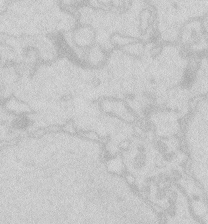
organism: Zebrafish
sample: Macrophage